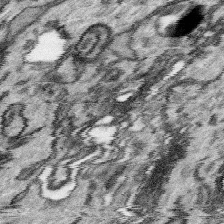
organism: Human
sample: HeLa cells